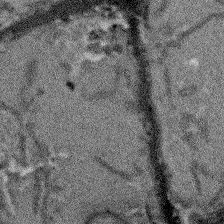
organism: Arabidopsis thaliana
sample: Root tip